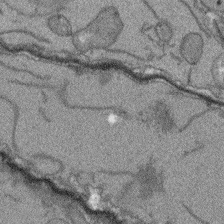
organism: Arabidopsis thaliana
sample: Root tip